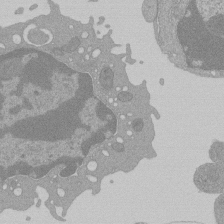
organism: Mouse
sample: Activated Pmel transgenic CD8+ T Cells